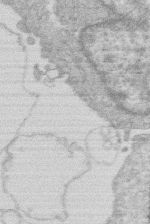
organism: Human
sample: Macrophage cells